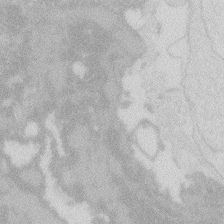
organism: Zebrafish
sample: Macrophage